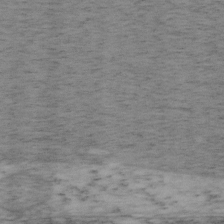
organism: Mouse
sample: OT-I killer T cells with ID8 ovarian cancer cells